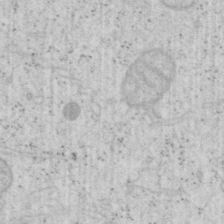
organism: Human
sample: HeLa cells